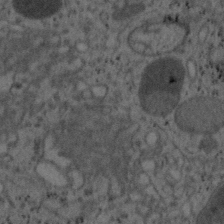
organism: Human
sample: HeLa cells